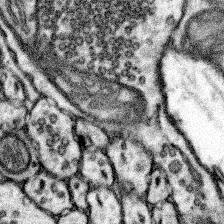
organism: Mouse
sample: Somatosensory cortex neuropil